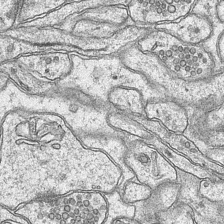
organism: Mouse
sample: CA1 Hippocampus